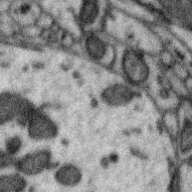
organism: Zebra finch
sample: Brain